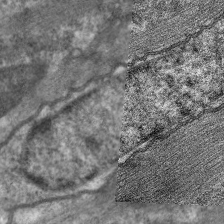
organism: C. elegans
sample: Pharynx